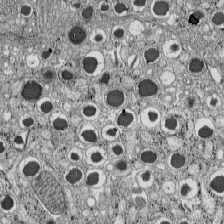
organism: C57BL Mouse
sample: Pancreatic islet